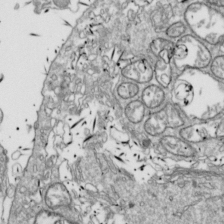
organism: Drosophila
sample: Cell division; meiosis; drosophila spermatocytes